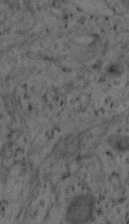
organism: Human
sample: HeLa cells